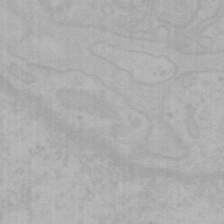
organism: Mouse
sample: Choroid plexus